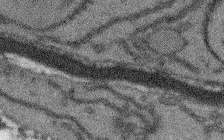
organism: Arabidopsis thaliana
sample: Root tip